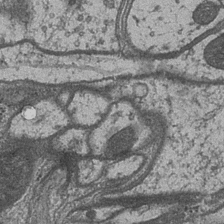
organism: Drosophila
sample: Optic medulla